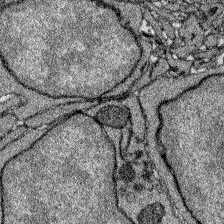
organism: Zebrafish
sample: Larval olfactory bulb